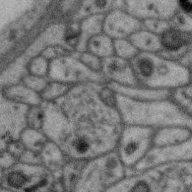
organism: Zebra finch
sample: Brain